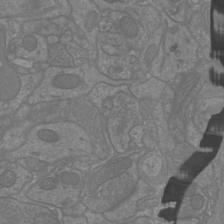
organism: Mouse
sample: Cortical neurons